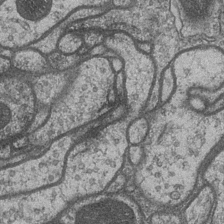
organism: Drosophila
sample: Optic medulla